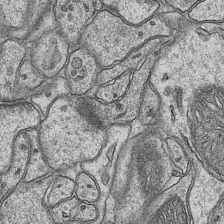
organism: Mouse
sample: CA1 Hippocampus